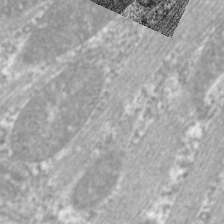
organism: C. elegans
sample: Pharynx